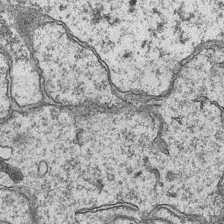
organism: Mouse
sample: CA1 Hippocampus